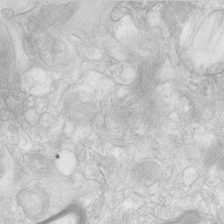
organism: Human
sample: Neocortex